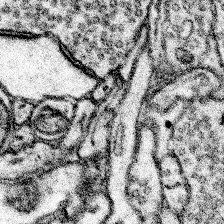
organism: Mouse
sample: Somatosensory cortex neuropil